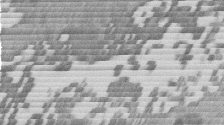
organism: Mouse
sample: Dividing mouse embryo 1 cell stage